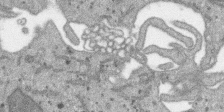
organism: Human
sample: Lung epithelial cells infected with SARS-CoV-2